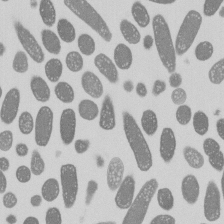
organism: E. coli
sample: Bacterial nucleoid